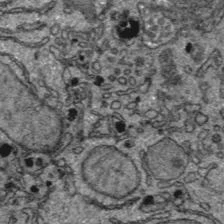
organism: C57BL Mouse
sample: Liver